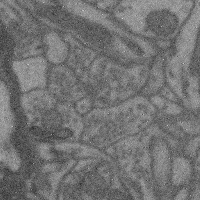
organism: Mouse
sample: Cerebral cortex